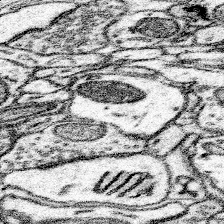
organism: Mouse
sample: Somatosensory cortex neuropil